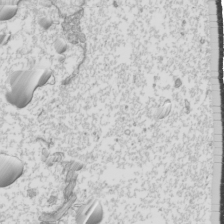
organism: Mouse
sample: Cilia; mouse epididymis